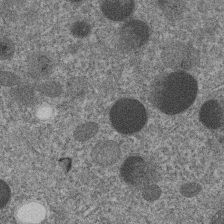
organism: C. elegans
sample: C. elegans embryo early stage